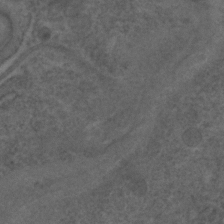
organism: C. elegans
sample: C. elegans embryo